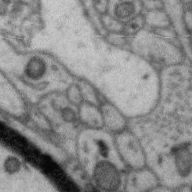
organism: Zebra finch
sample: Brain